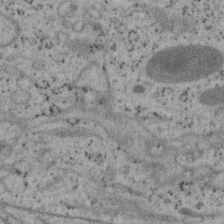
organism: Human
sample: HeLa cells